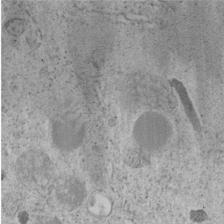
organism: C. elegans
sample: C. elegans embryo early stage